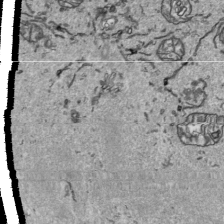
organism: Human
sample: Mitochondria in HCT116 cells